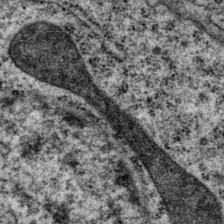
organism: P. pacificus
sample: Pharynx